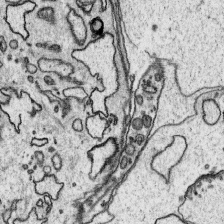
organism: Platynereis dumerilii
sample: Parapodia